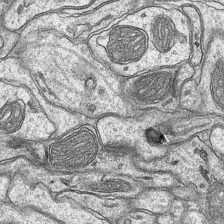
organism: Mouse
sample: CA1 Hippocampus